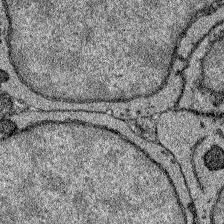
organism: Zebrafish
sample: Larval olfactory bulb